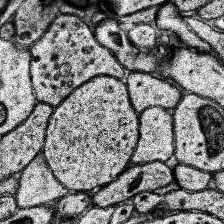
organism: Human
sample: Temporal Lobe